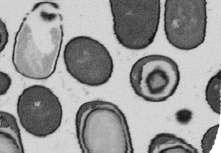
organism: B. subtilis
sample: Bacterial spore